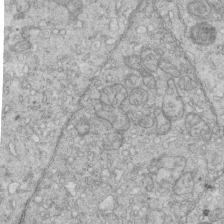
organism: Mouse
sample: Multiciliated cells